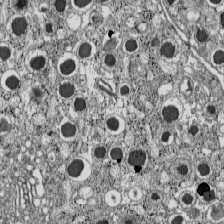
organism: C57BL Mouse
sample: Pancreatic islet